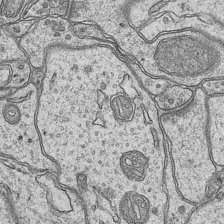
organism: Mouse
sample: CA1 Hippocampus